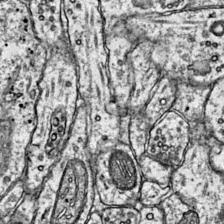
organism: Mouse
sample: Primary visual cortex